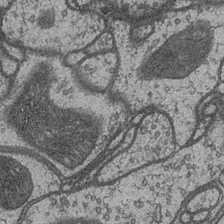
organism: Drosophila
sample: Optic medulla